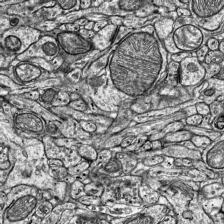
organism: Mouse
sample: Visual Cortex